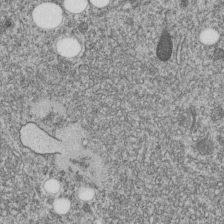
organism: C. elegans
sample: C. elegans embryo early stage